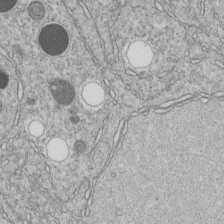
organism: C. elegans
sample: C. elegans embryo early stage